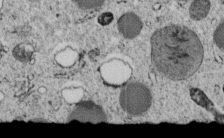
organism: C. elegans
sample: C. elegans embryo early stage